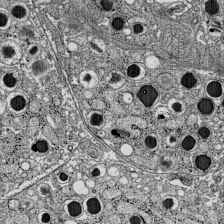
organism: C57BL Mouse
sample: Pancreatic islet